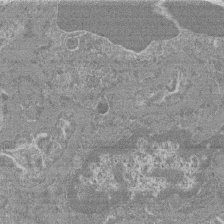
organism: Mouse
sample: Glomerulus